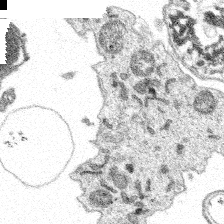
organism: Spongilla lacustris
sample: Multiple